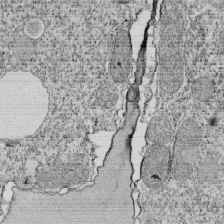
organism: Tetrahymena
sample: Cilia in tetrahymena